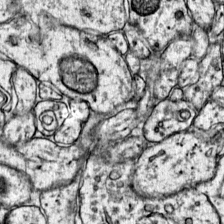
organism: Mouse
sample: Primary visual cortex